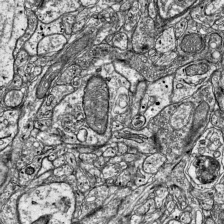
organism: Mouse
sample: Visual Cortex